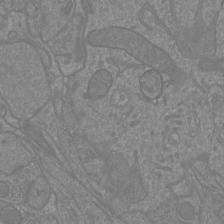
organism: Mouse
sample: Cortical neurons